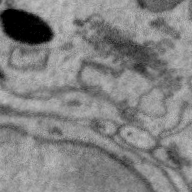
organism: Zebra finch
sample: Brain